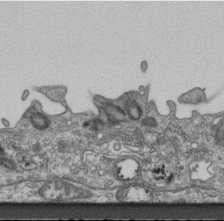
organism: Mouse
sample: Centriole in ependymal cells